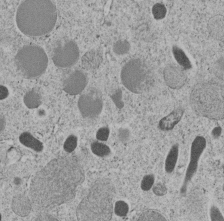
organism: C. elegans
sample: C. elegans embryo early stage